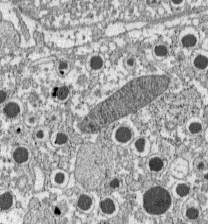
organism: C57BL Mouse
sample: Pancreatic islet